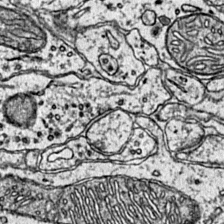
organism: Mouse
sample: Primary visual cortex